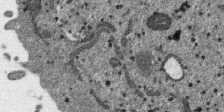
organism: Human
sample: Lung epithelial cells infected with SARS-CoV-2